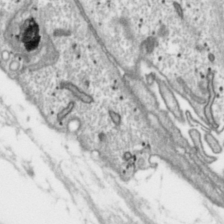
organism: Toxoplasma gondii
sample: Parasites in a vacuole inside a host cell